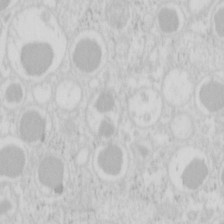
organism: Mouse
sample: Pancreas